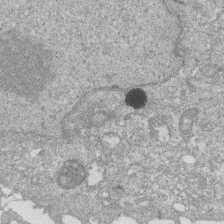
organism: Human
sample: HeLa cell HIV synapse